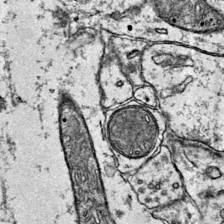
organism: Mouse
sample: Primary visual cortex